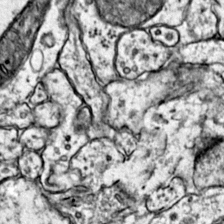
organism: Mouse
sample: Primary visual cortex